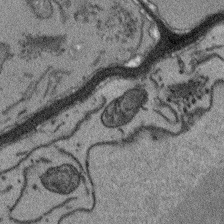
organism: Arabidopsis thaliana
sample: Root tip